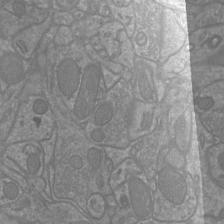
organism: Mouse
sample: Cortical neurons